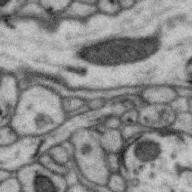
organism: Zebra finch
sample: Brain